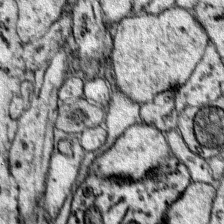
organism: Mouse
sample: Primary visual cortex